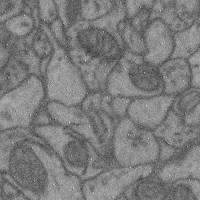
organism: Mouse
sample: Cerebral cortex